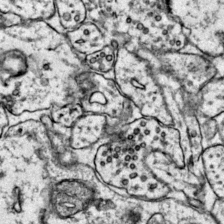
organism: Mouse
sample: Primary visual cortex